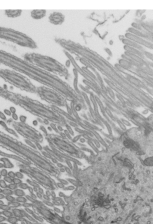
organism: Mouse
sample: Mouse epididymis efferent ductule cilia